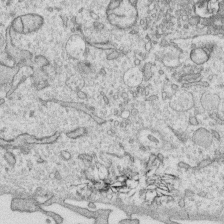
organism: Human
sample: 1205lu cells